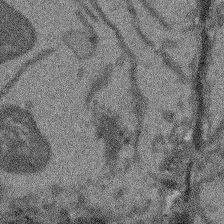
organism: Arabidopsis thaliana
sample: Root tip